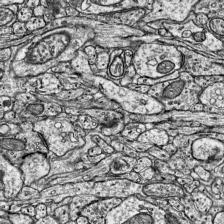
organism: Mouse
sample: Visual Cortex